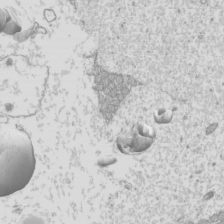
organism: Mouse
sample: Cilia; mouse epididymis